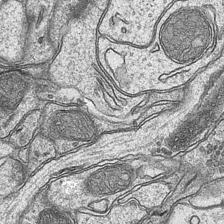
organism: Mouse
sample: CA1 Hippocampus